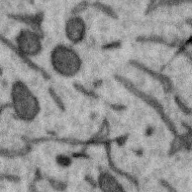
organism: Zebra finch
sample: Brain